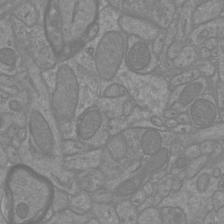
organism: Mouse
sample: Cortical neurons